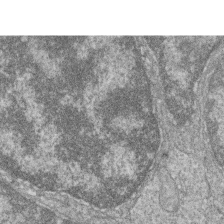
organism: Zebrafish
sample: Cilia; retinal pigment epithelium